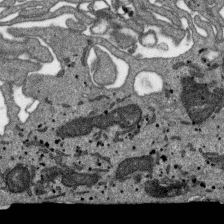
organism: Human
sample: Lung epithelial cells, uninfected (mock) control